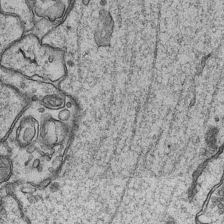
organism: Mouse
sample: CA1 Hippocampus